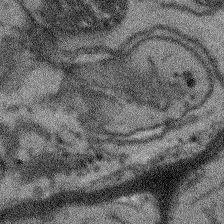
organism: Arabidopsis thaliana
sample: Root tip